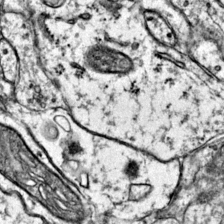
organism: Mouse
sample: Primary visual cortex